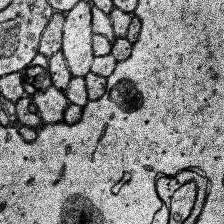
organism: Human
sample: Temporal Lobe